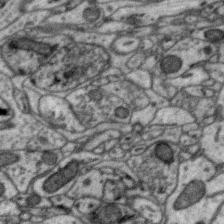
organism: Zebra finch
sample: Brain